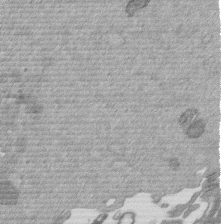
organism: Mouse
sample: Dividing mouse embryo 1 cell stage